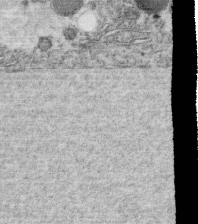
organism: C. elegans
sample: C. elegans oocyte; sperm cells